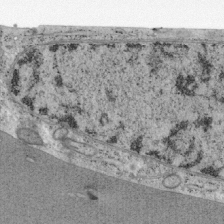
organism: Human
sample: HeLa cells